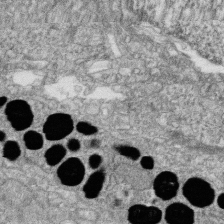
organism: Zebrafish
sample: Cilia; retinal pigment epithelium